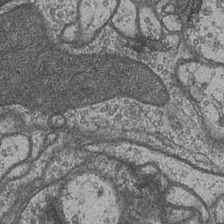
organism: Drosophila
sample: Optic medulla